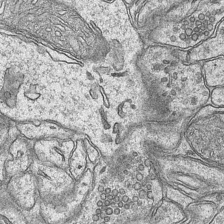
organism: Mouse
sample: CA1 Hippocampus